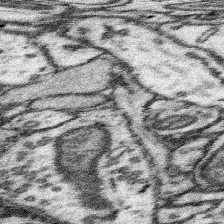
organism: Mouse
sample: Somatosensory cortex neuropil